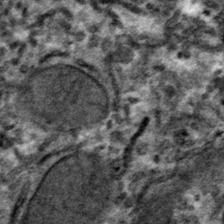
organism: Mouse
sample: Mouse hepatocytes